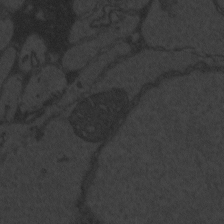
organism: Zebrafish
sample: Macrophage infected with Toxoplasma gondii